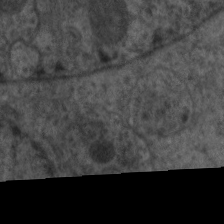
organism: C. elegans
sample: Pharynx